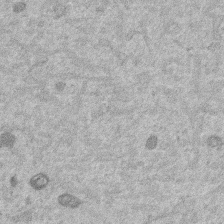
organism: Mouse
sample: Dividing mouse embryo 1 cell stage